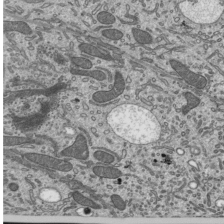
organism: Mouse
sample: Mouse epididymis efferent ductule cilia